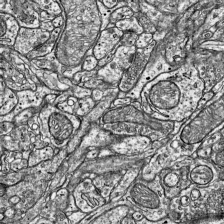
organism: Mouse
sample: Visual Cortex